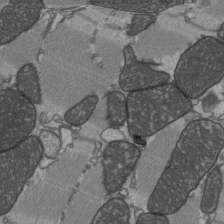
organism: C57BL Mouse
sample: Heart